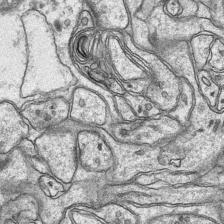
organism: Mouse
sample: CA1 Hippocampus